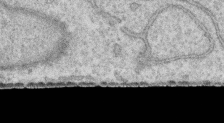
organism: Human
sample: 1205lu cells